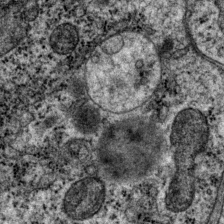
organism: P. pacificus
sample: Pharynx